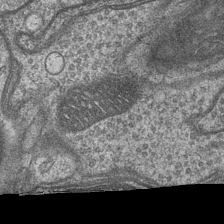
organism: Drosophila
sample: Optic medulla